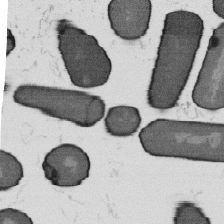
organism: B. subtilis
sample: Bacterial spore